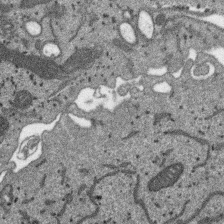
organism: Human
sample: Lung epithelial cells infected with SARS-CoV-2